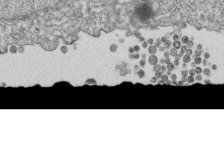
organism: Human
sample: HeLa cell HIV synapse